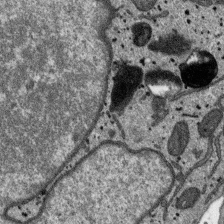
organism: Human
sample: Lung epithelial cells, uninfected (mock) control